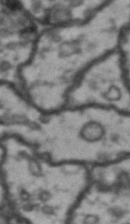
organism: Drosophila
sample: Brain